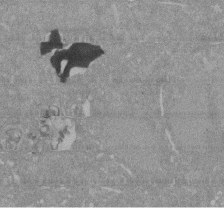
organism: Mouse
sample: ED-1 cell nuclei; centrioles